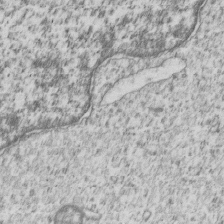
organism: Human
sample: MDA-MB-231 cells